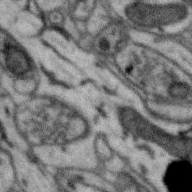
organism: Zebra finch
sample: Brain